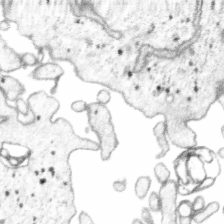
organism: Human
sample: HeLa cells